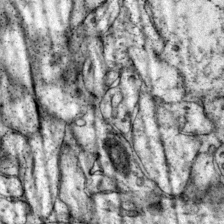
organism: Mouse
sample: Primary visual cortex